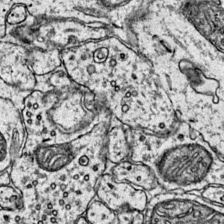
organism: Mouse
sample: Primary visual cortex